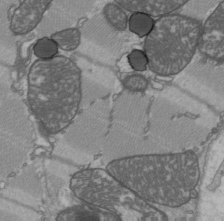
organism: C57BL Mouse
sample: Heart